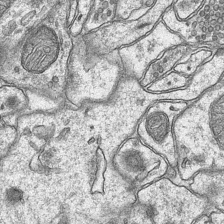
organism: Mouse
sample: CA1 Hippocampus